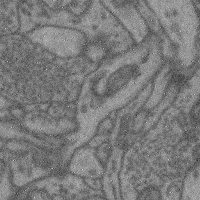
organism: Mouse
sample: Cerebral cortex